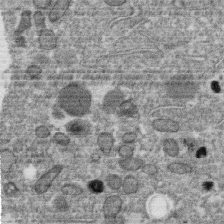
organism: C. elegans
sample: C. elegans oocyte; sperm cells